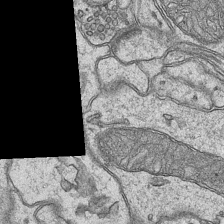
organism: Mouse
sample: CA1 Hippocampus